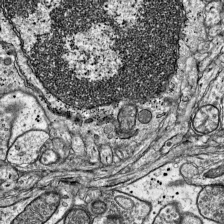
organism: Mouse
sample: Visual Cortex